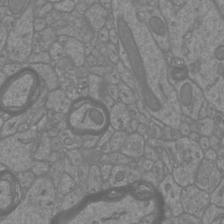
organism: Mouse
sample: Cortical neurons